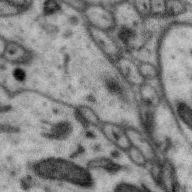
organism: Zebra finch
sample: Brain